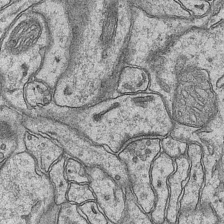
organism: Mouse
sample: CA1 Hippocampus